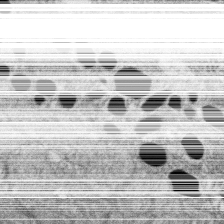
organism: Zebrafish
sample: Cilia; retinal pigment epithelium